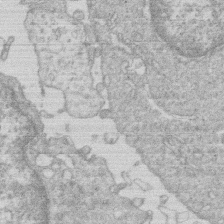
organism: Human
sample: Macrophage cells